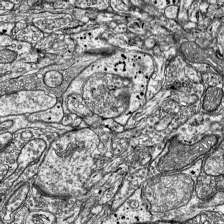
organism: Mouse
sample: Visual Cortex